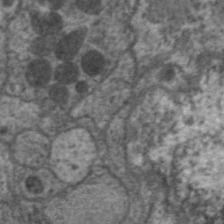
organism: C. elegans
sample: Pharynx